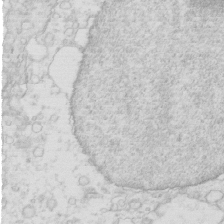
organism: Mouse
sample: Multiciliated cells